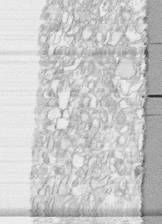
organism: Human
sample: CRL-1474